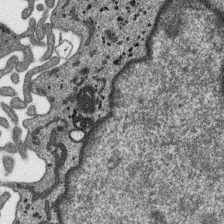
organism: Human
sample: Lung epithelial cells infected with SARS-CoV-2